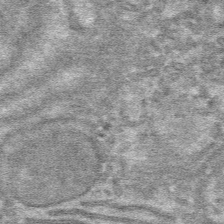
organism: Mouse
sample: Mouse hepatocytes